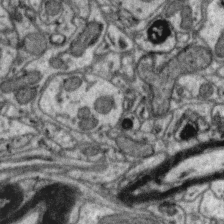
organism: Zebra finch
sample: Brain